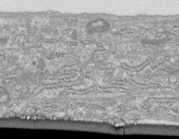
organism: Human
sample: Centriole in fibroblast cells